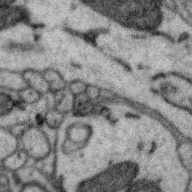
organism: Zebra finch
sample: Brain